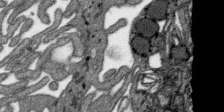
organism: Human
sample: Lung epithelial cells, uninfected (mock) control